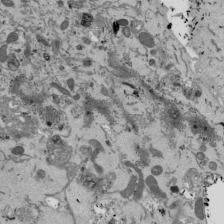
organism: Mouse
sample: ED-1 cell nuclei; centrioles